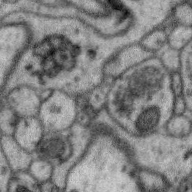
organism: Zebra finch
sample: Brain